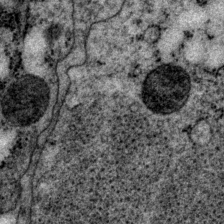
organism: P. pacificus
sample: Pharynx